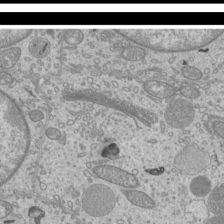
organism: Mouse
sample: Cilia; mouse epididymis